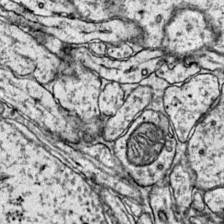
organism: Mouse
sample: Primary visual cortex